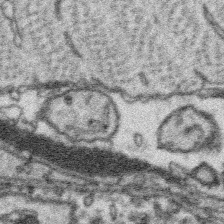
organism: Platynereis dumerilii